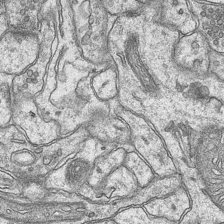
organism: Mouse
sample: CA1 Hippocampus